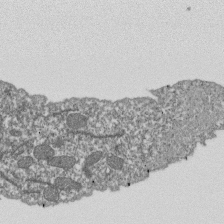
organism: Dictyostelium discoideum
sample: Dictyostelium multivesicular bodies